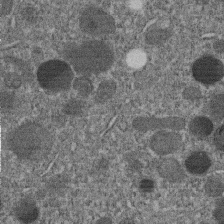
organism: C. elegans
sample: C. elegans embryo early stage